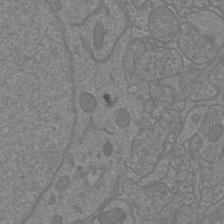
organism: Mouse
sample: Cortical neurons